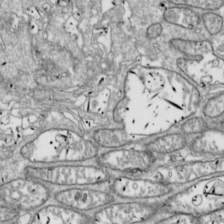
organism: Drosophila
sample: Cell division; meiosis; drosophila spermatocytes